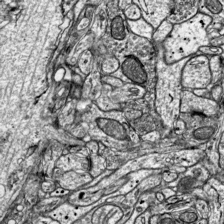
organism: Mouse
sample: Visual Cortex